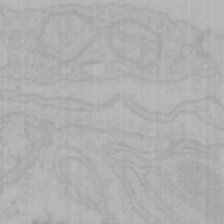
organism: Mouse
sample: Choroid plexus